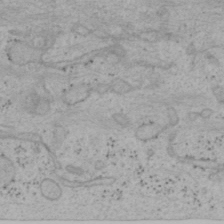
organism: Human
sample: HeLa cells